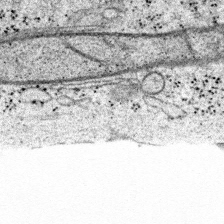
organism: Human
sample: HeLa cells